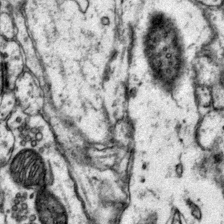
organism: Mouse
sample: Primary visual cortex